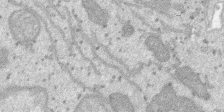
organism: Human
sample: Lung epithelial cells infected with SARS-CoV-2